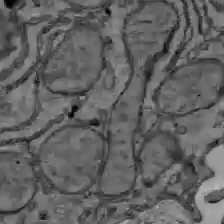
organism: C57BL Mouse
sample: Liver